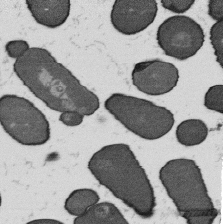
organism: B. subtilis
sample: Bacterial spore